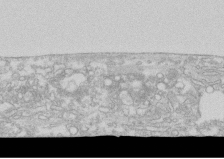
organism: Human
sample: CRL-1474